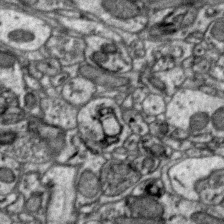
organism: Zebra finch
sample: Brain